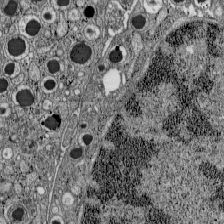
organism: C57BL Mouse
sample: Pancreatic islet